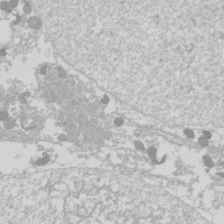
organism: Drosophila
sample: Cell division; meiosis; drosophila spermatocytes